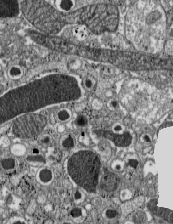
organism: C57BL Mouse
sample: Pancreatic islet